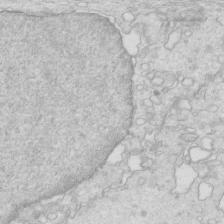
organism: Mouse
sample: Multiciliated cells